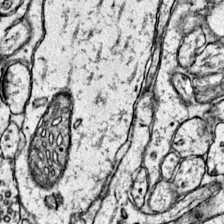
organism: Mouse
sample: Primary visual cortex